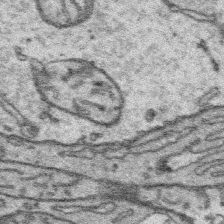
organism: Platynereis dumerilii